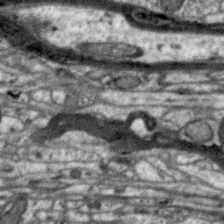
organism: Zebra finch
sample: Brain